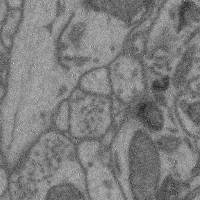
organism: Mouse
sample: Cerebral cortex